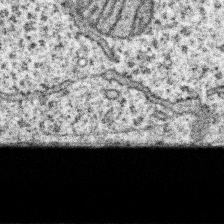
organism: Human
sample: HeLa cells